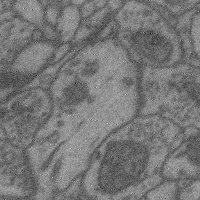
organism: Mouse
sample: Cerebral cortex